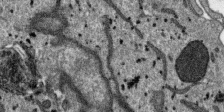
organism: Human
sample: Lung epithelial cells, uninfected (mock) control